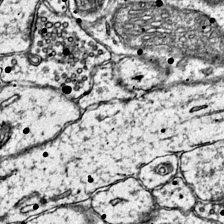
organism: Mouse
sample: Primary visual cortex